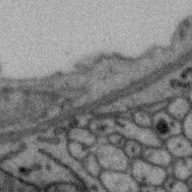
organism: Zebra finch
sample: Brain